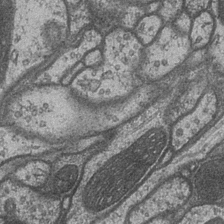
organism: Drosophila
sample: Optic medulla